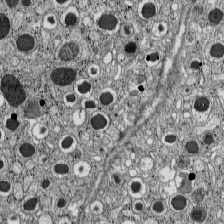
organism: C57BL Mouse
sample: Pancreatic islet